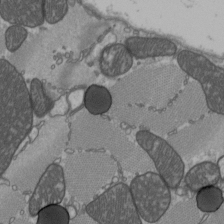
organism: C57BL Mouse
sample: Heart